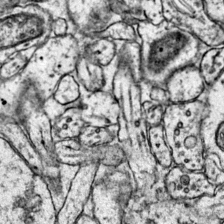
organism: Mouse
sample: Primary visual cortex